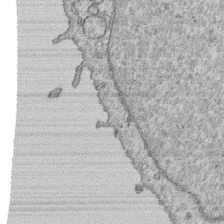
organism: Human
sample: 1205lu cells